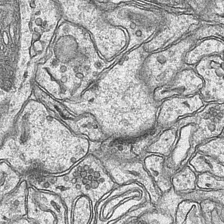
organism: Mouse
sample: CA1 Hippocampus